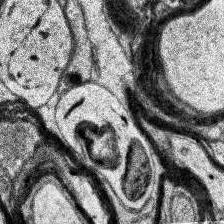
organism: Human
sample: Temporal Lobe